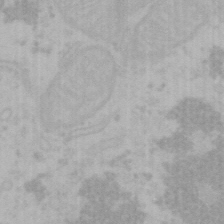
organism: Mouse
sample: Choroid plexus